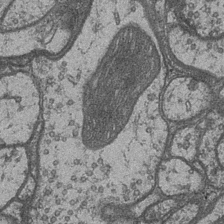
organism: Drosophila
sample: Optic medulla